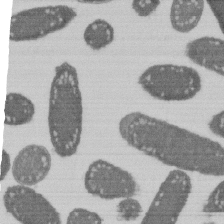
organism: E. coli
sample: Bacterial nucleoid